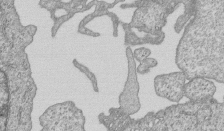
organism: Human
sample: MDA-MB-231 cells